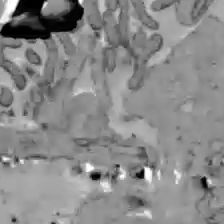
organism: C57BL Mouse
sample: Liver